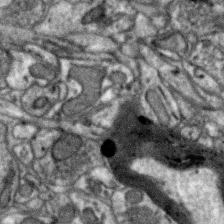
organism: Zebra finch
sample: Brain